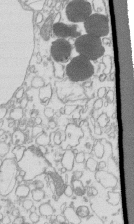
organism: Mouse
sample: Macrophages